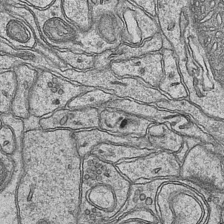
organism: Mouse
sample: CA1 Hippocampus